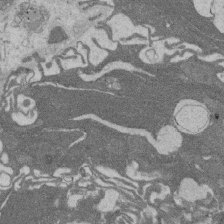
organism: Rat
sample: Salivary granule